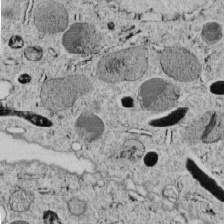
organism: C. elegans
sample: C. elegans embryo early stage